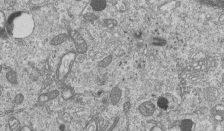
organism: Human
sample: MDA-MB-231 cells